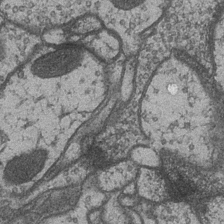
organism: Drosophila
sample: Optic medulla